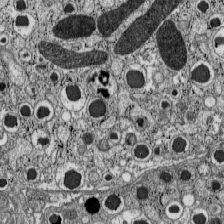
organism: C57BL Mouse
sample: Pancreatic islet